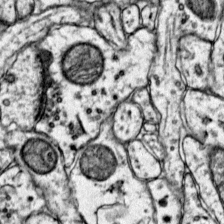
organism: Mouse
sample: Primary visual cortex